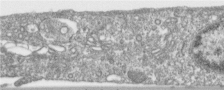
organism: Human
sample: Centriole in RPE cells